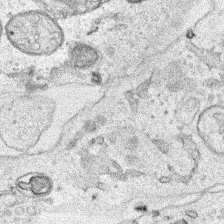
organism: Human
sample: Mitochondria in HCT116 cells